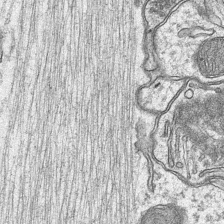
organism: Mouse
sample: CA1 Hippocampus